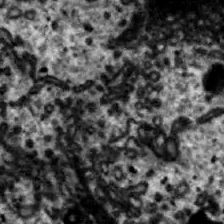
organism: Human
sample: HeLa cells